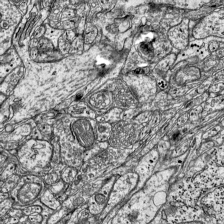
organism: Mouse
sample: Visual Cortex